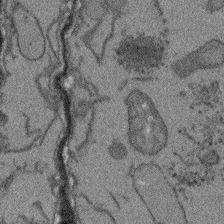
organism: Arabidopsis thaliana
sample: Root tip